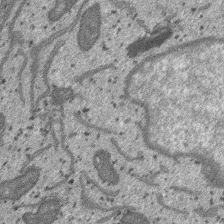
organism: Human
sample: Lung epithelial cells infected with SARS-CoV-2